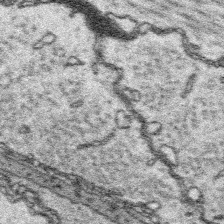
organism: Platynereis dumerilii